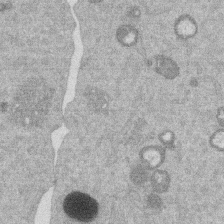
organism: Mouse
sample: Dividing mouse embryo 1 cell stage